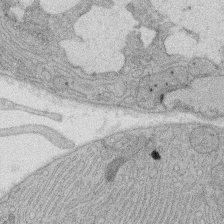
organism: Rat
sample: Salivary granule